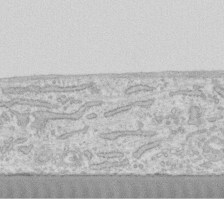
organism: Human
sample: Fibroblast cells